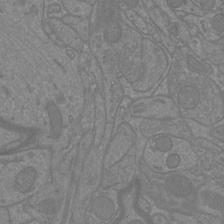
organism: Mouse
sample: Cortical neurons